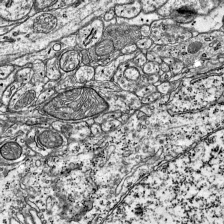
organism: Mouse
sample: Visual Cortex